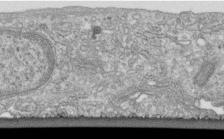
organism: Human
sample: Centriole in fibroblast cells